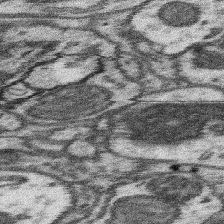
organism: Mouse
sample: Somatosensory cortex neuropil